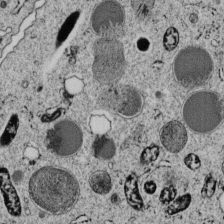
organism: C. elegans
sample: C. elegans embryo early stage